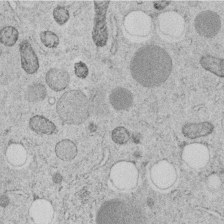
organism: C. elegans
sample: C. elegans embryo early stage